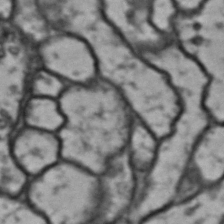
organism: Drosophila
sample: Brain